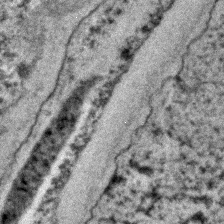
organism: C. elegans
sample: C. elegans embryo